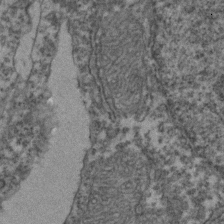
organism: Zebrafish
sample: Zebrafish embryo